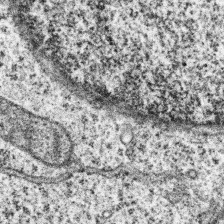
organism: Human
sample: HeLa cells